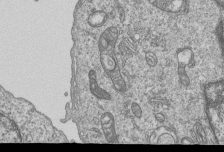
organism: Human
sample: MDA-MB-231 cells